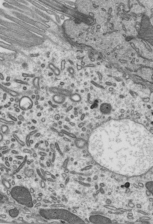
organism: Mouse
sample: Mouse epididymis efferent ductule cilia